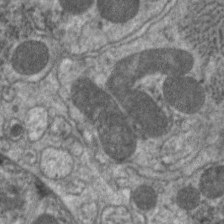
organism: C. elegans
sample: Pharynx